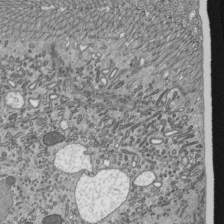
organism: Mouse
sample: Mouse epididymis efferent ductule cilia